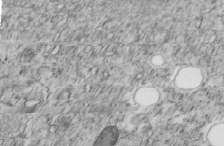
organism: C. elegans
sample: C. elegans embryo early stage